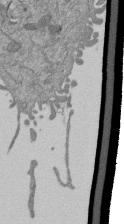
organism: Mouse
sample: ED-1 cell nuclei; centrioles